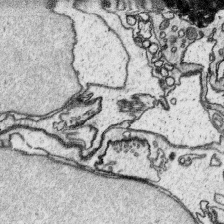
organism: Platynereis dumerilii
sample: Parapodia